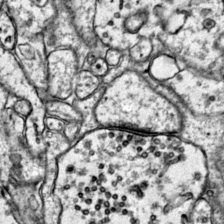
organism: Mouse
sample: Primary visual cortex